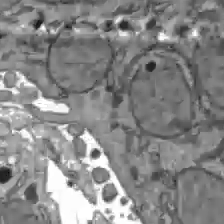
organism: C57BL Mouse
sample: Liver